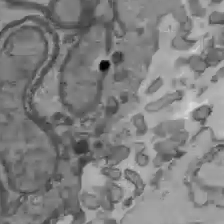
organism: C57BL Mouse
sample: Liver